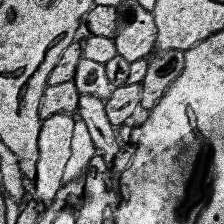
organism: Human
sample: Temporal Lobe